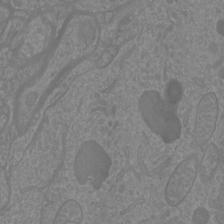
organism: Mouse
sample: Cortical neurons